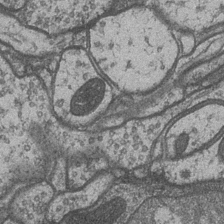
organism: Drosophila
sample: Optic medulla